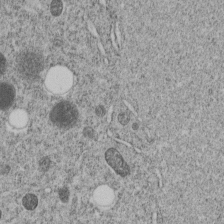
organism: C. elegans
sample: C. elegans embryo early stage